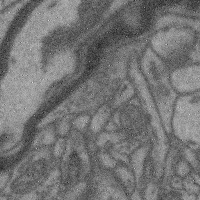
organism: Mouse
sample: Cerebral cortex